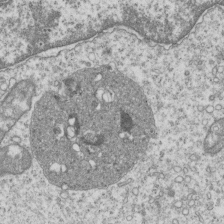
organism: Human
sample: MDA-MB-231 cells